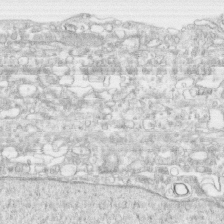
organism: Human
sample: CRL-1474